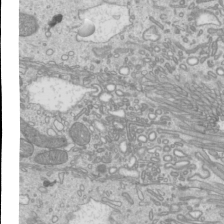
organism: Mouse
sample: Cilia; mouse epididymis